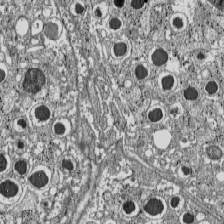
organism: C57BL Mouse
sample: Pancreatic islet